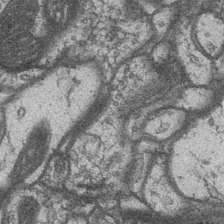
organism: Drosophila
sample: Optic medulla